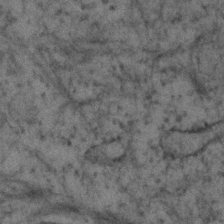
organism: Human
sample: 1205lu cells